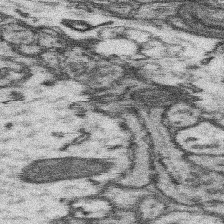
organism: Mouse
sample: Somatosensory cortex neuropil